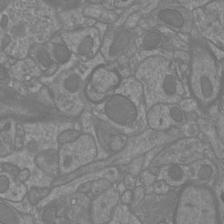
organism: Mouse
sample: Cortical neurons